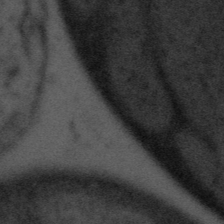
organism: Tuwongella immobilis